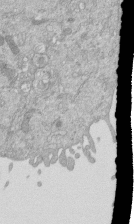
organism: Mouse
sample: ED-1 cell nuclei; centrioles